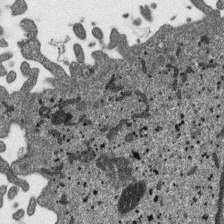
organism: Human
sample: Lung epithelial cells infected with SARS-CoV-2